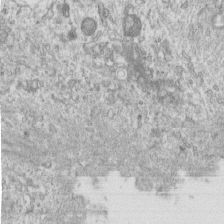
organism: Human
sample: Centriole in RPE cells